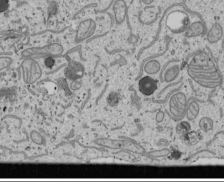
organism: Human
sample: Mitochondria in U2OS cells